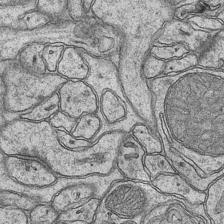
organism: Mouse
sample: CA1 Hippocampus